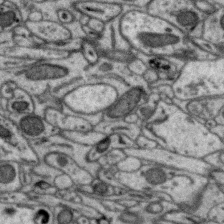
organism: Zebra finch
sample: Brain